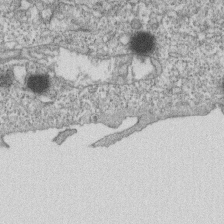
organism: Human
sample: HeLa cell HIV synapse